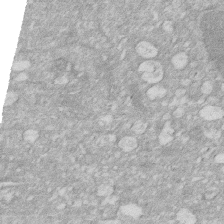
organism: Human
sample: HIV infected U937 cells